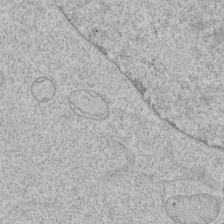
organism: Human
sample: Mitochondria in HCT116 cells